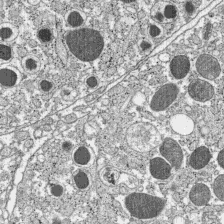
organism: C57BL Mouse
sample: Pancreatic islet